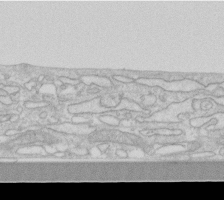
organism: Human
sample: Fibroblast cells